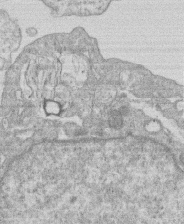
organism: Human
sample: Macrophage cells